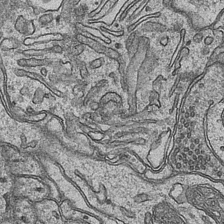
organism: Mouse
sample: CA1 Hippocampus